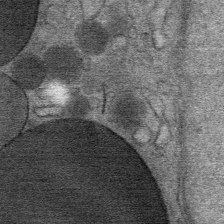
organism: Mouse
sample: Mouse Salivary gland